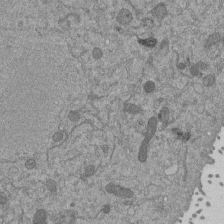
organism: Mouse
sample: ED-1 cell nuclei; centrioles